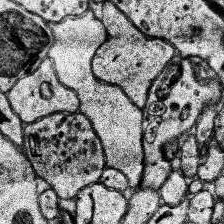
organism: Human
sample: Temporal Lobe